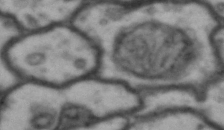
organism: Drosophila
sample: Brain